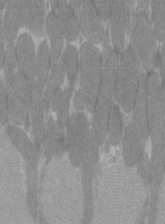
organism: C57BL Mouse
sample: Tibialis anterior muscle cell